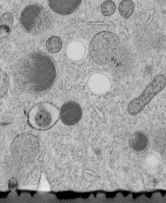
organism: C. elegans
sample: C. elegans embryo early stage